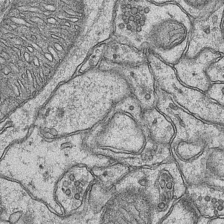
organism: Mouse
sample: CA1 Hippocampus